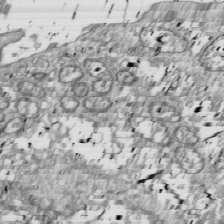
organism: Drosophila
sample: Cell division; meiosis; drosophila spermatocytes